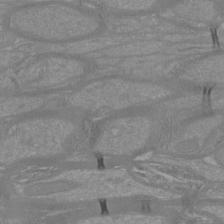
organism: Mouse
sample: Cortical neurons